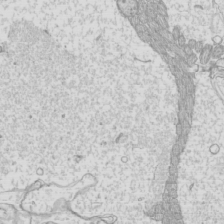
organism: Mouse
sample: Cilia; mouse epididymis